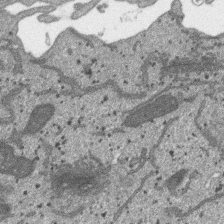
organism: Human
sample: Lung epithelial cells infected with SARS-CoV-2